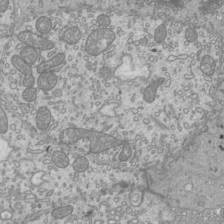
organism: Mouse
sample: Cilia; mouse epididymis